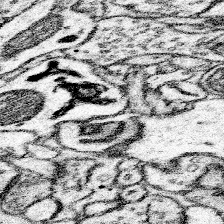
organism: Mouse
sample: Somatosensory cortex neuropil